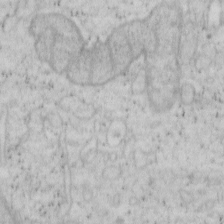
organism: Human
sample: HeLa cells